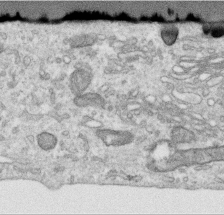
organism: Human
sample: Centriole in RPE cells